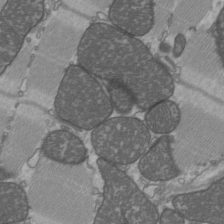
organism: C57BL Mouse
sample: Heart